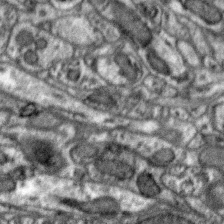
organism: Zebra finch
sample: Brain